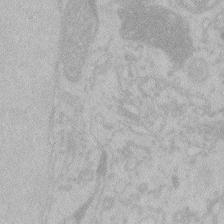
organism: Zebrafish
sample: Macrophage infected with Toxoplasma gondii